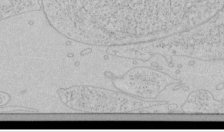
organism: Human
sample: Mitochondria in HCT116 cells